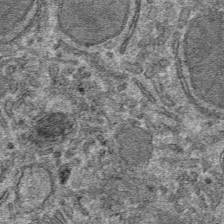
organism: Mouse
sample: Mouse hepatocytes